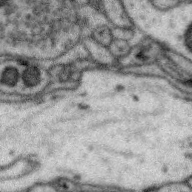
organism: Zebra finch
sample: Brain